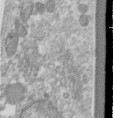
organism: Human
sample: Centriole in RPE cells